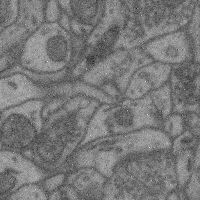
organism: Mouse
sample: Cerebral cortex